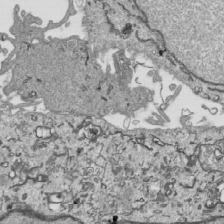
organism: Human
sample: Mitochondria in HCT116 cells